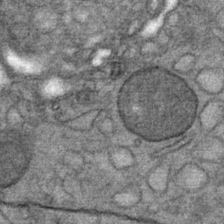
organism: Mouse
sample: Mouse Salivary gland